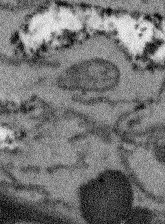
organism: Arabidopsis thaliana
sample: Root tip